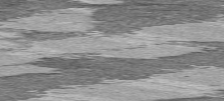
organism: C57BL Mouse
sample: Heart